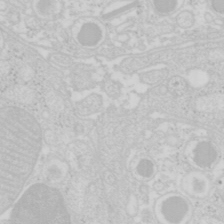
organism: Mouse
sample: Pancreas